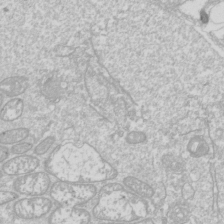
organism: Drosophila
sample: Cell division; meiosis; drosophila spermatocytes